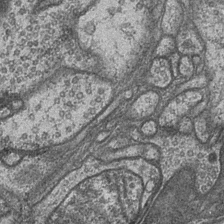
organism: Drosophila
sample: Optic medulla